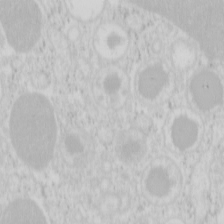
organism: Mouse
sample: Pancreas